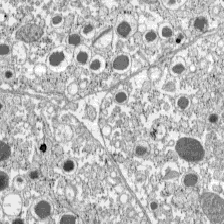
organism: C57BL Mouse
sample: Pancreatic islet